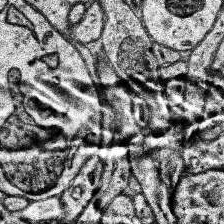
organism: Human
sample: Temporal Lobe